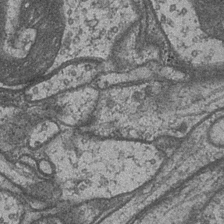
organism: Drosophila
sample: Optic medulla